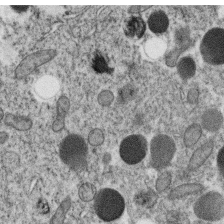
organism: C. elegans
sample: C. elegans oocyte; sperm cells